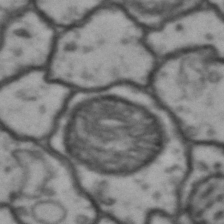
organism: Drosophila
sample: Brain